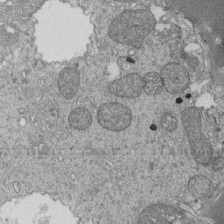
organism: Tetrahymena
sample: Cilia in tetrahymena